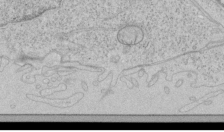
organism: Human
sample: Mitochondria in HCT116 cells